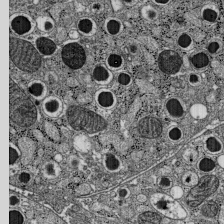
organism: C57BL Mouse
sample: Pancreatic islet